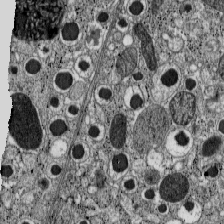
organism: C57BL Mouse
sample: Pancreatic islet